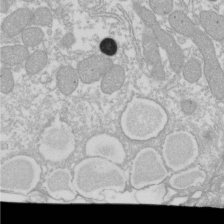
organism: Xenopus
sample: Cilia; centrioles in frog embryo cells